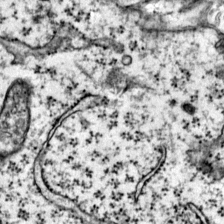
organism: Mouse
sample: Primary visual cortex